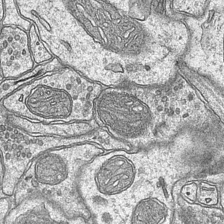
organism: Mouse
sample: CA1 Hippocampus